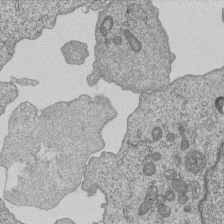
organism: Human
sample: MDA-MB-231 cells